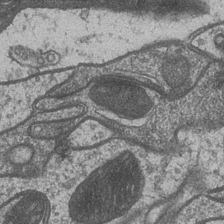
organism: Drosophila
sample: Optic medulla